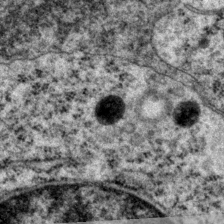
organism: P. pacificus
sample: Pharynx